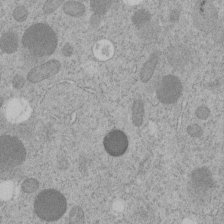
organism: C. elegans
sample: C. elegans embryo early stage